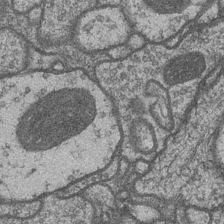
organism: Drosophila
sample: Optic medulla